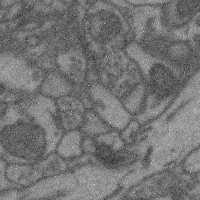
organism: Mouse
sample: Cerebral cortex